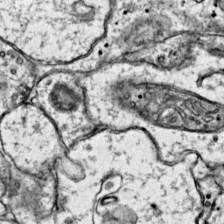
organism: Mouse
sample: Primary visual cortex